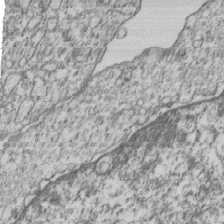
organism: Human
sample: MDA-MB-231 cells